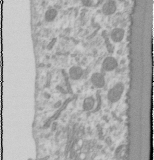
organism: Human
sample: Cilia; basal body in RPE cells